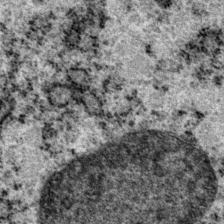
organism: P. pacificus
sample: Pharynx